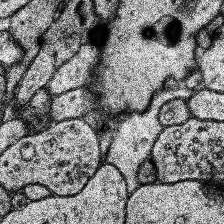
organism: Human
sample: Temporal Lobe